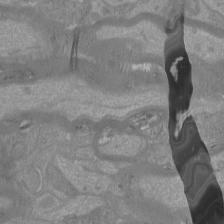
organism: Mouse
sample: Cortical neurons